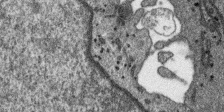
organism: Human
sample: Lung epithelial cells infected with SARS-CoV-2